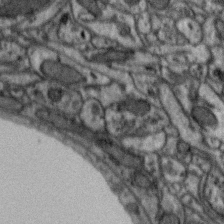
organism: Zebra finch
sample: Brain